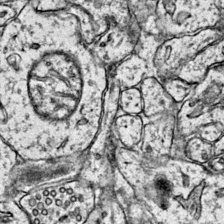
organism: Mouse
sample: Primary visual cortex